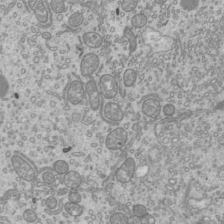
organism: Mouse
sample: Cilia; mouse epididymis